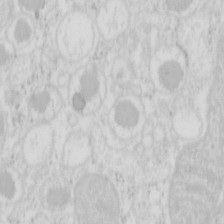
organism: Mouse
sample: Pancreas